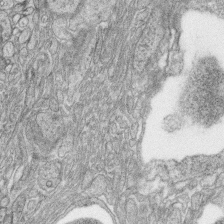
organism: Zebrafish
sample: synaptic ribbons in rod cells and cone cells